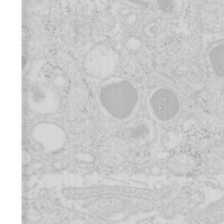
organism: Mouse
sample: Pancreas